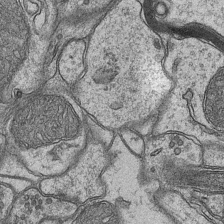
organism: Mouse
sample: CA1 Hippocampus